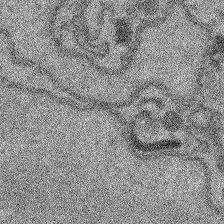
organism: Human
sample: HeLa cells